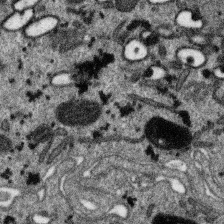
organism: Human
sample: Lung epithelial cells infected with SARS-CoV-2